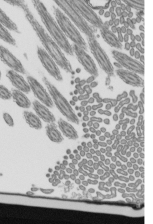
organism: Mouse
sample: Mouse epididymis efferent ductule cilia